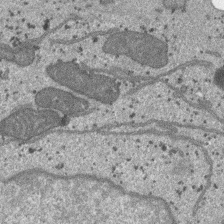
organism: Human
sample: Lung epithelial cells infected with SARS-CoV-2